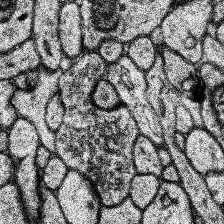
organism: Human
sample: Temporal Lobe